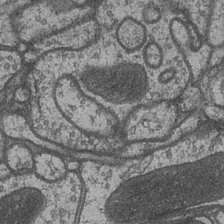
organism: Drosophila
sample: Optic medulla